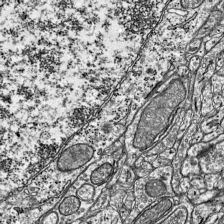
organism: Mouse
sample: Visual Cortex